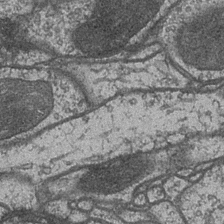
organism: Drosophila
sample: Optic medulla